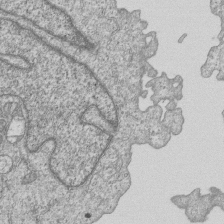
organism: Human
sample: MDA-MB-231 cells